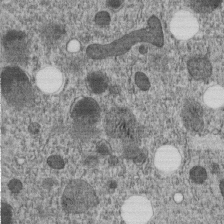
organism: C. elegans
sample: C. elegans embryo early stage